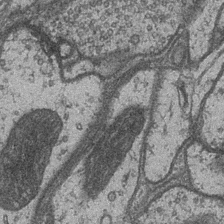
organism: Drosophila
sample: Optic medulla